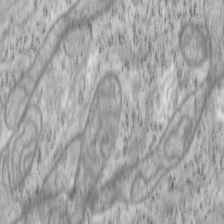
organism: Human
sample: HeLa cells